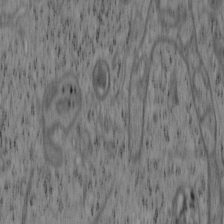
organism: Human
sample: HeLa cells